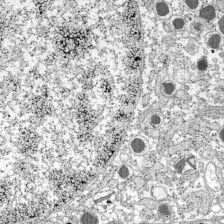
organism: C57BL Mouse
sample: Pancreatic islet